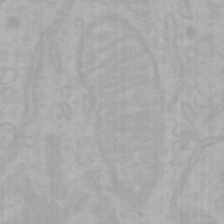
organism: Mouse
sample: Choroid plexus